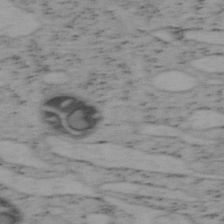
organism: Mouse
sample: OT-I killer T cells with ID8 ovarian cancer cells